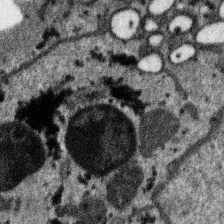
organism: Human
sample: Lung epithelial cells infected with SARS-CoV-2